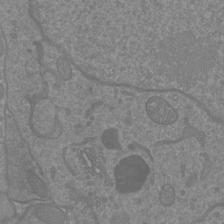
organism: Mouse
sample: Cortical neurons